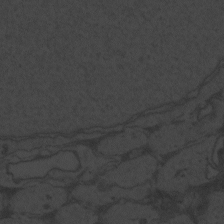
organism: Zebrafish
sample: Macrophage infected with Toxoplasma gondii